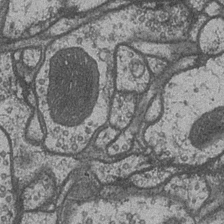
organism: Drosophila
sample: Optic medulla